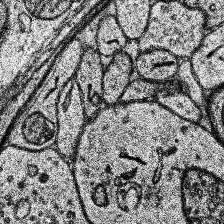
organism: Human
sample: Temporal Lobe